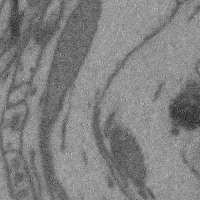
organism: Mouse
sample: Cerebral cortex